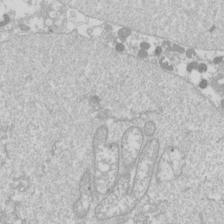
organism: Drosophila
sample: Cell division; meiosis; drosophila spermatocytes